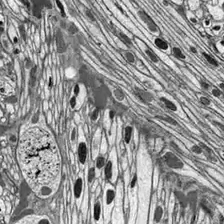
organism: Drosophila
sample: Optic lobe